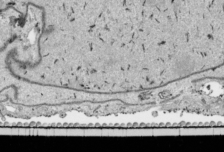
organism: Human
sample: Mitochondria in HCT116 cells